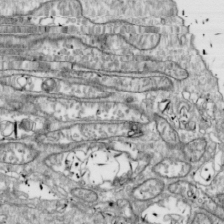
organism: Drosophila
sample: Cell division; meiosis; drosophila spermatocytes